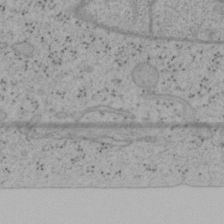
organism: Human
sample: HeLa cells